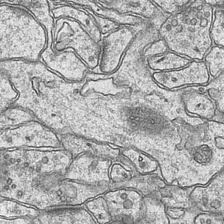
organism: Mouse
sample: CA1 Hippocampus